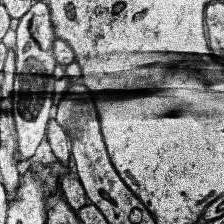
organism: Human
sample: Temporal Lobe